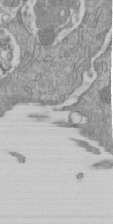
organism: Mouse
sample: ED-1 cell nuclei; centrioles